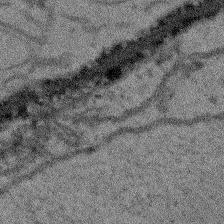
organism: Arabidopsis thaliana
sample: Root tip